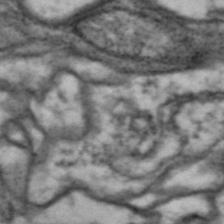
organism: Drosophila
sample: Brain